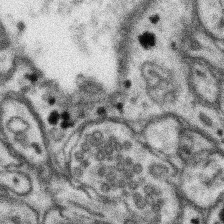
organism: Mouse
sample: Somatosensory cortex neuropil